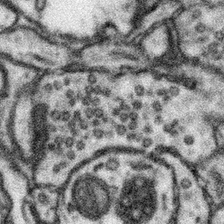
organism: Mouse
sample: Somatosensory cortex neuropil